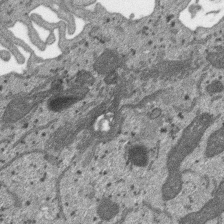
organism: Human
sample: Lung epithelial cells infected with SARS-CoV-2